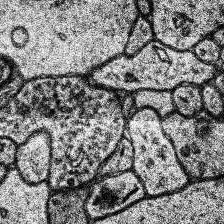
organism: Human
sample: Temporal Lobe